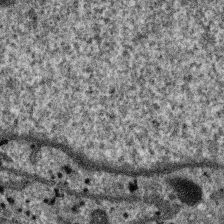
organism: Human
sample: Lung epithelial cells infected with SARS-CoV-2